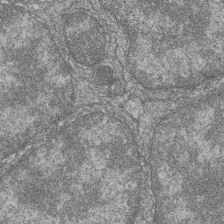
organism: Zebrafish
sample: Cilia; retinal pigment epithelium